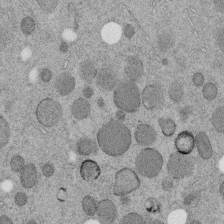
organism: C. elegans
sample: C. elegans embryo early stage